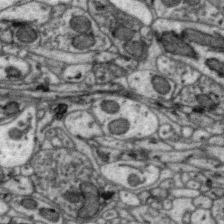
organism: Zebra finch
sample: Brain